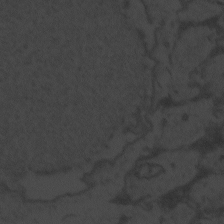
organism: Zebrafish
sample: Macrophage infected with Toxoplasma gondii